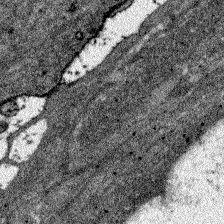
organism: Zebrafish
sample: Larval olfactory bulb